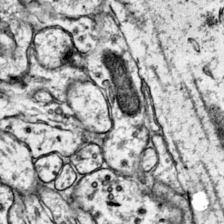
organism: Mouse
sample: Primary visual cortex